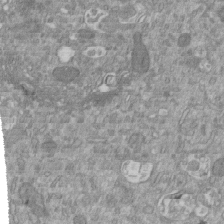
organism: Mouse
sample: ED-1 cell nuclei; centrioles